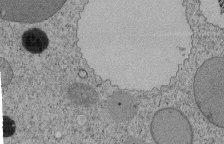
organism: Tetrahymena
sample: Cilia in tetrahymena